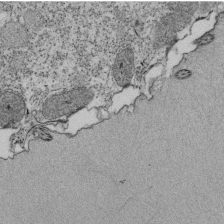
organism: Tetrahymena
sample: Cilia in tetrahymena